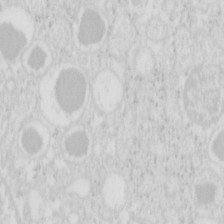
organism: Mouse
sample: Pancreas